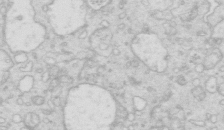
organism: Mouse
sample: Multiciliated cells